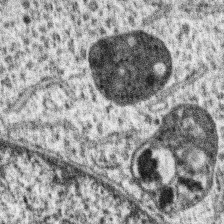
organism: Human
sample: HeLa cells